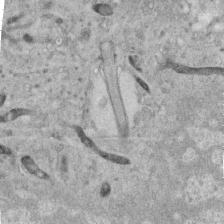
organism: Human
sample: Centriole in RPE cells